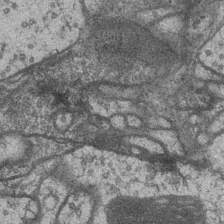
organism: Drosophila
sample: Optic medulla